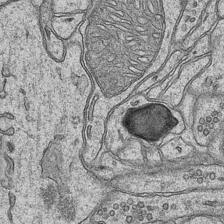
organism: Mouse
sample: CA1 Hippocampus